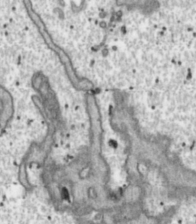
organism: Toxoplasma gondii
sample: Parasites in a vacuole inside a host cell